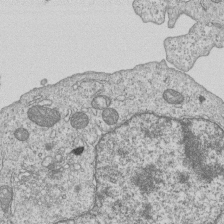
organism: Human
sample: MDA-MB-231 cells